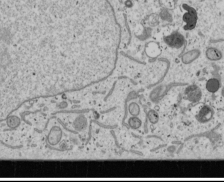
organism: Human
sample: Mitochondria in U2OS cells